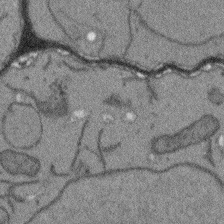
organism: Arabidopsis thaliana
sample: Root tip